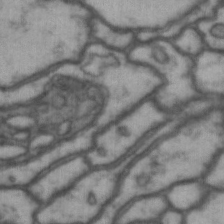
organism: Drosophila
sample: Brain